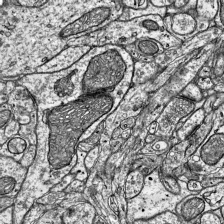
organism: Mouse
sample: Visual Cortex